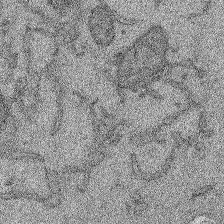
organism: Human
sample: HeLa cells